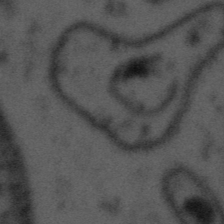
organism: Tuwongella immobilis